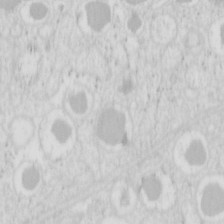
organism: Mouse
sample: Pancreas